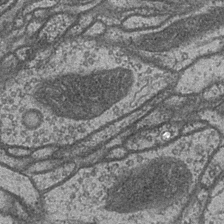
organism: Drosophila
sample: Optic medulla